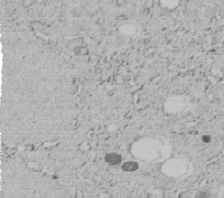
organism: C. elegans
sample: C. elegans embryo early stage